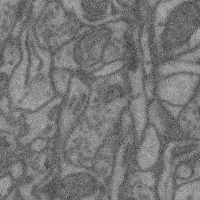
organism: Mouse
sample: Cerebral cortex